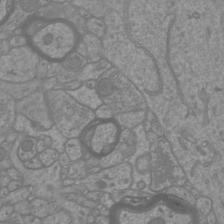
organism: Mouse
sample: Cortical neurons